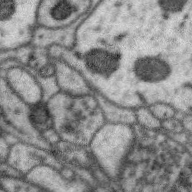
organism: Zebra finch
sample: Brain